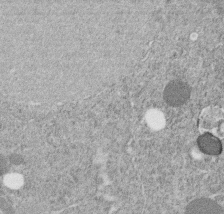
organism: C. elegans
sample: C. elegans embryo early stage